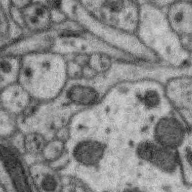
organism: Zebra finch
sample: Brain